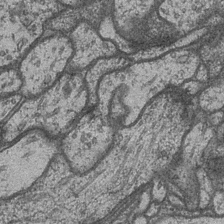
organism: Drosophila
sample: Optic medulla